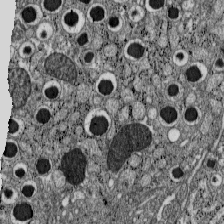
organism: C57BL Mouse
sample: Pancreatic islet